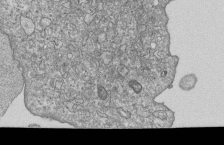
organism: Human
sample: MDA-MB-231 cells